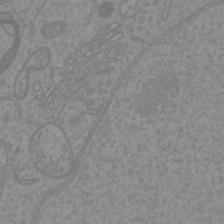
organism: Mouse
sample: Cortical neurons